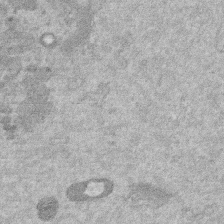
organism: Mouse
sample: Dividing mouse embryo 1 cell stage